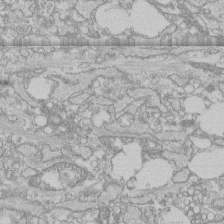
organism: Human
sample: CRL-1474